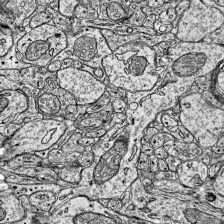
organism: Mouse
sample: Visual Cortex